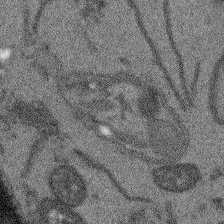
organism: Arabidopsis thaliana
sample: Root tip